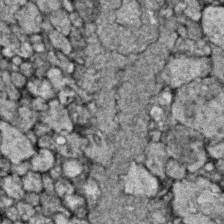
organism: Zebrafish